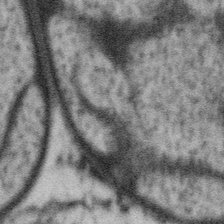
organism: Gemmata obscuriglobus